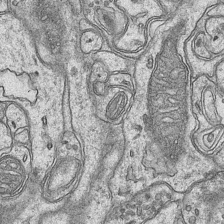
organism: Mouse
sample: CA1 Hippocampus